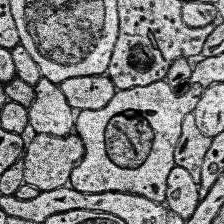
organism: Human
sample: Temporal Lobe